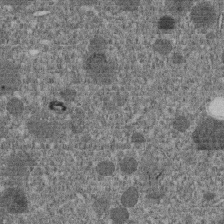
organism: C. elegans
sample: C. elegans embryo early stage